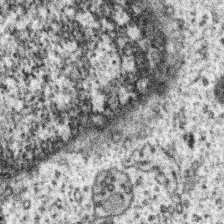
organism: Human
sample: HeLa cells